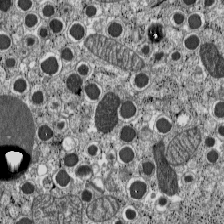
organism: C57BL Mouse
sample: Pancreatic islet